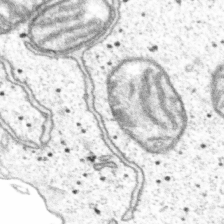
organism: Human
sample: HeLa cells